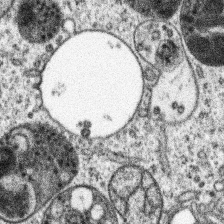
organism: Human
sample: HeLa cells